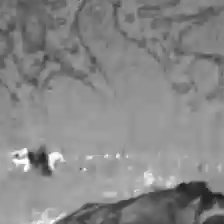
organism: C57BL Mouse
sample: Liver